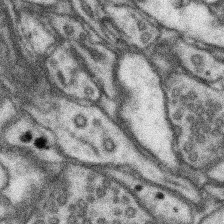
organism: Mouse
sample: Somatosensory cortex neuropil